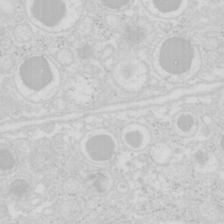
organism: Mouse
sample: Pancreas